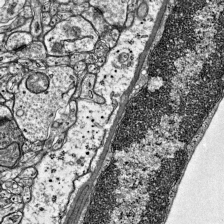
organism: Mouse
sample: Visual Cortex